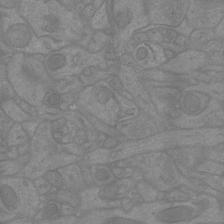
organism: Mouse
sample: Cortical neurons